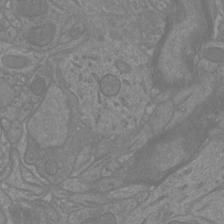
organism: Mouse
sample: Cortical neurons